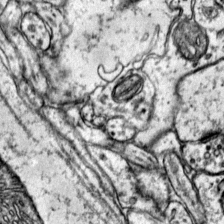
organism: Mouse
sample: Primary visual cortex